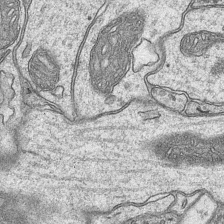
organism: Mouse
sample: CA1 Hippocampus